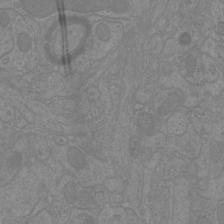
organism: Mouse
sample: Cortical neurons